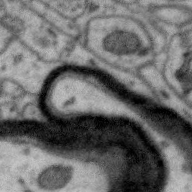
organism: Zebra finch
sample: Brain